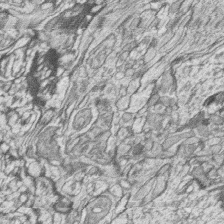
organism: Zebrafish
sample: synaptic ribbons in rod cells and cone cells